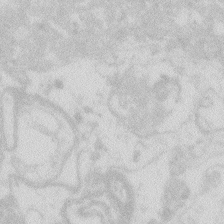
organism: Zebrafish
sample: Macrophage